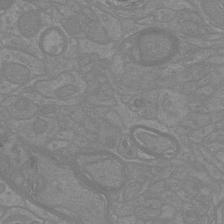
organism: Mouse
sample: Cortical neurons